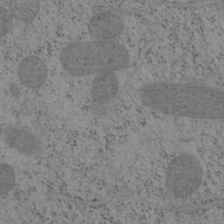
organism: Mouse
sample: OT-I killer T cells with ID8 ovarian cancer cells